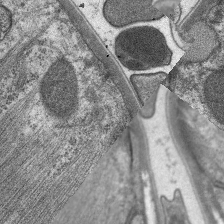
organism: C. elegans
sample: Pharynx